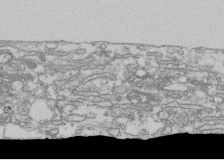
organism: Human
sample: Fibroblast cells